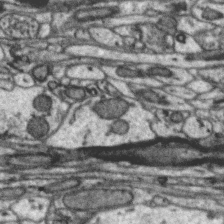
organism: Zebra finch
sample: Brain